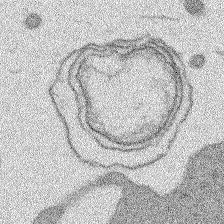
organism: Human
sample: HeLa cells